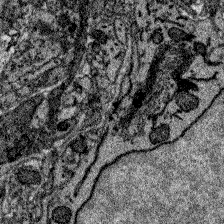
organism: Zebrafish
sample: Larval olfactory bulb